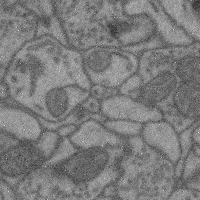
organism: Mouse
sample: Cerebral cortex